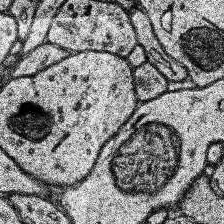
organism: Human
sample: Temporal Lobe